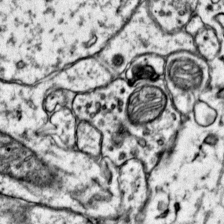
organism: Mouse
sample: Primary visual cortex